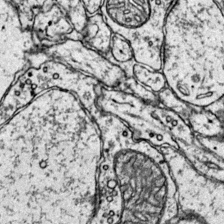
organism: Mouse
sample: Primary visual cortex